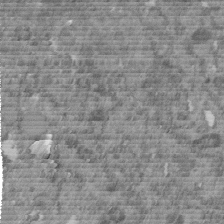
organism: C. elegans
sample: C. elegans embryo early stage